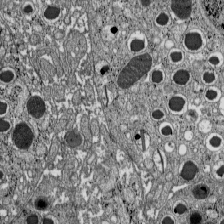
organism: C57BL Mouse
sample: Pancreatic islet